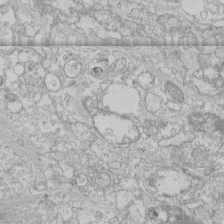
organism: Human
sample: CRL-1474